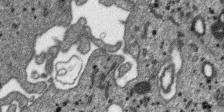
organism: Human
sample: Lung epithelial cells infected with SARS-CoV-2